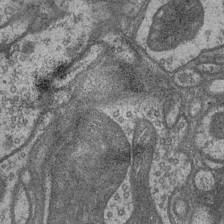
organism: Drosophila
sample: Optic medulla